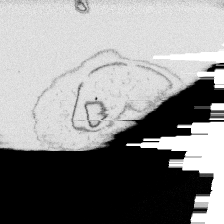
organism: Platynereis dumerilii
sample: Parapodia